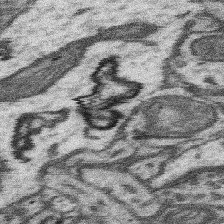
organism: Mouse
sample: Somatosensory cortex neuropil